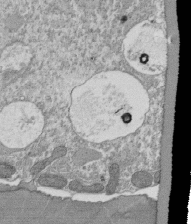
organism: Tetrahymena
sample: Cilia in tetrahymena